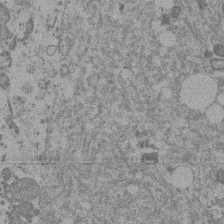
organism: Mouse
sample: Dividing mouse embryo 1 cell stage